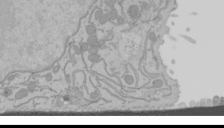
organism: Mouse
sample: Cancer cell death in ED-1 cells